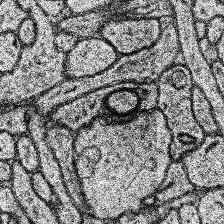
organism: Human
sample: Temporal Lobe